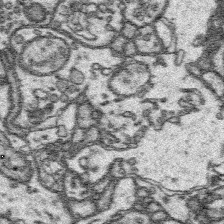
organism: Platynereis dumerilii